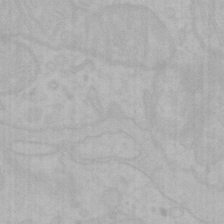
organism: Mouse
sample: Choroid plexus